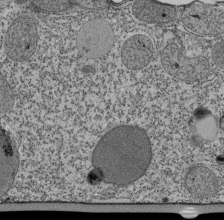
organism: Tetrahymena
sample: Cilia in tetrahymena